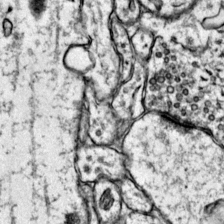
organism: Mouse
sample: Primary visual cortex